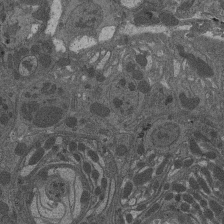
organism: Drosophila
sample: Antenna